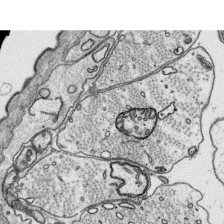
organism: Platynereis dumerilii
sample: Parapodia